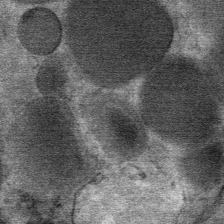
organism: Mouse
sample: Mouse Salivary gland